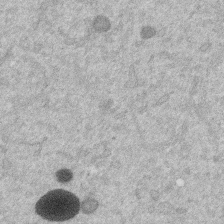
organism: Mouse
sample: Dividing mouse embryo 1 cell stage